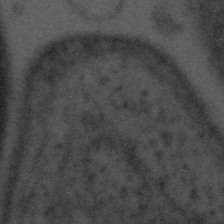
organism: Tuwongella immobilis